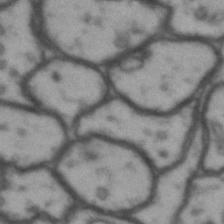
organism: Drosophila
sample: Brain